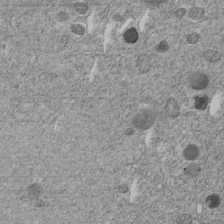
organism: C. elegans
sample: C. elegans embryo early stage